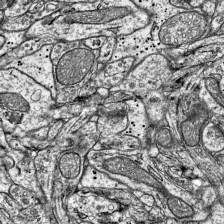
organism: Mouse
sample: Visual Cortex